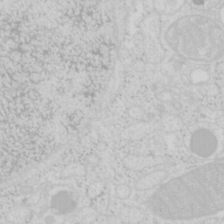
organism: Mouse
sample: Pancreas